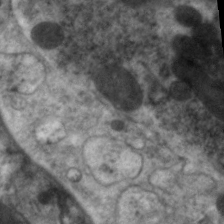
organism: C. elegans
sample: Pharynx